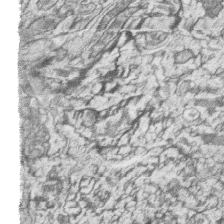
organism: Zebrafish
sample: synaptic ribbons in rod cells and cone cells